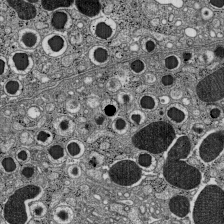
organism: C57BL Mouse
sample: Pancreatic islet